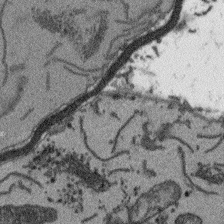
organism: Arabidopsis thaliana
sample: Root tip